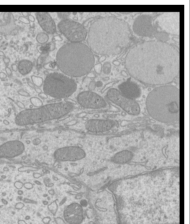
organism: Mouse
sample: Cilia; mouse epididymis